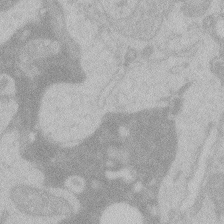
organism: Zebrafish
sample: Macrophage infected with Toxoplasma gondii